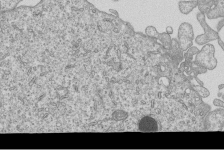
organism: Human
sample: MDA-MB-231 cells